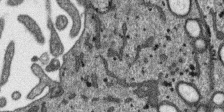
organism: Human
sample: Lung epithelial cells infected with SARS-CoV-2